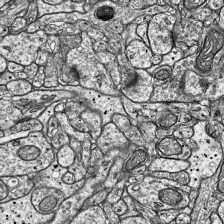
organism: Mouse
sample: Visual Cortex